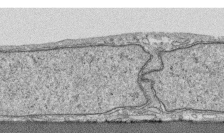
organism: Human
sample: CRL-1474